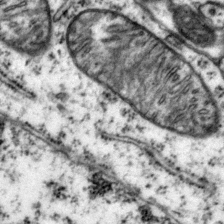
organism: Mouse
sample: Primary visual cortex